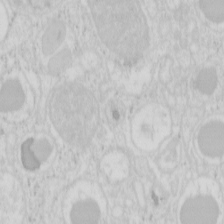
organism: Mouse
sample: Pancreas